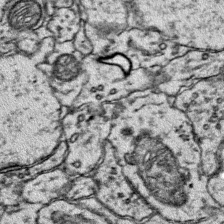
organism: Mouse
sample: Primary visual cortex